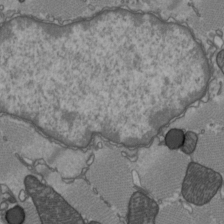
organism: C57BL Mouse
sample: Heart